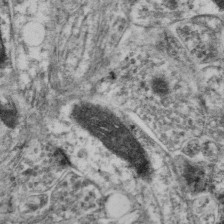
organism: Mouse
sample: Neocortex